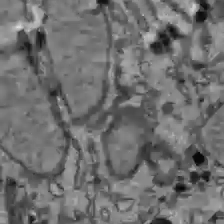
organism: C57BL Mouse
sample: Liver